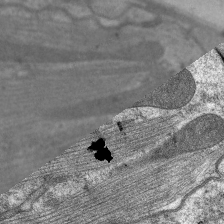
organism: C. elegans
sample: Pharynx